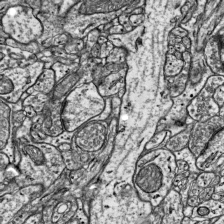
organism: Mouse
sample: Visual Cortex